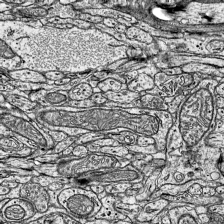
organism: Mouse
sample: Visual Cortex